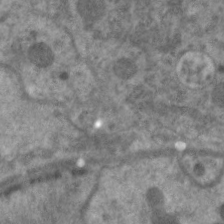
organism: C. elegans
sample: Pharynx